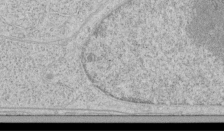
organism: Human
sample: Mitochondria in HCT116 cells